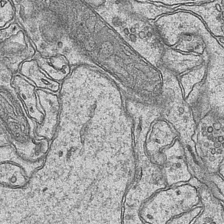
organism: Mouse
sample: CA1 Hippocampus